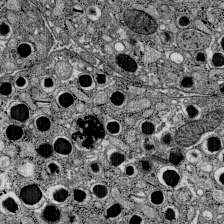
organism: C57BL Mouse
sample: Pancreatic islet